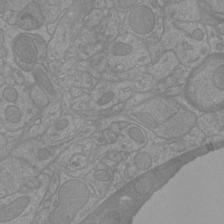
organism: Mouse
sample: Cortical neurons